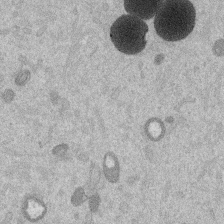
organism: Mouse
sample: Dividing mouse embryo 1 cell stage